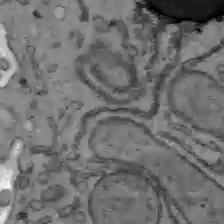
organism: C57BL Mouse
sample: Liver